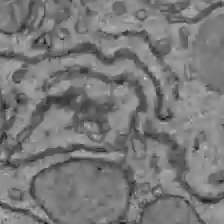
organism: C57BL Mouse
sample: Liver